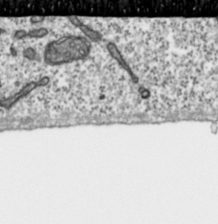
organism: Toxoplasma gondii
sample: Parasites in a vacuole inside a host cell